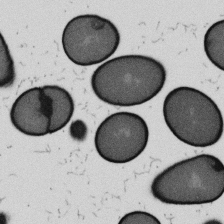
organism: B. subtilis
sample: Bacterial spore